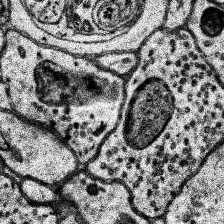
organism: Human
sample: Temporal Lobe